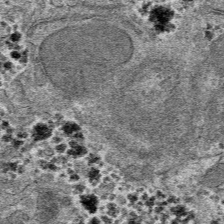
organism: Mouse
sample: Mouse hepatocytes